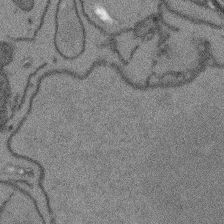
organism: Arabidopsis thaliana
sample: Root tip